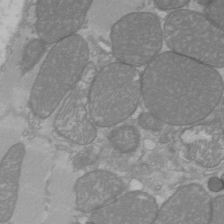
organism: C57BL Mouse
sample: Heart